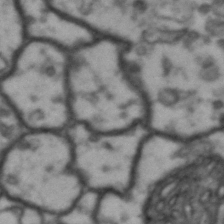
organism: Drosophila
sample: Brain